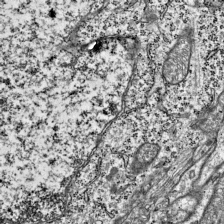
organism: Mouse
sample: Visual Cortex